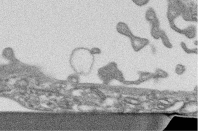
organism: Human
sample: CRL-1474